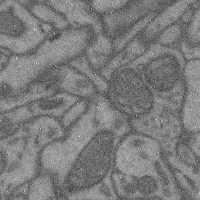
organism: Mouse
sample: Cerebral cortex